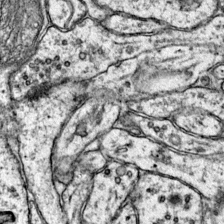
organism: Mouse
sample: Primary visual cortex